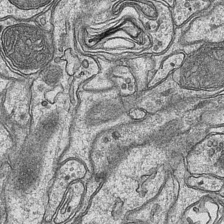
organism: Mouse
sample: CA1 Hippocampus